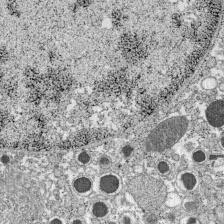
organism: C57BL Mouse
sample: Pancreatic islet